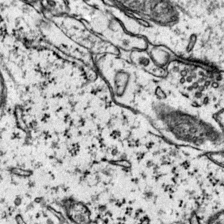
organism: Mouse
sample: Primary visual cortex